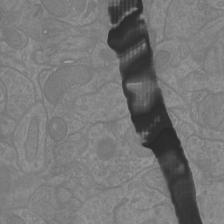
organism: Mouse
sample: Cortical neurons